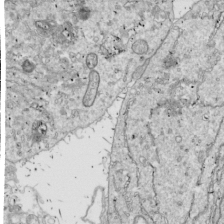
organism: Drosophila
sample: Cell division; meiosis; drosophila spermatocytes